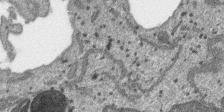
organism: Human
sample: Lung epithelial cells infected with SARS-CoV-2